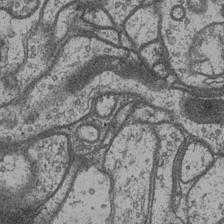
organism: Drosophila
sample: Optic medulla